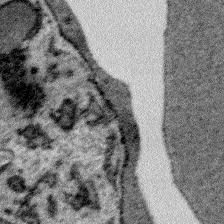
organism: Plasmodium falciparum